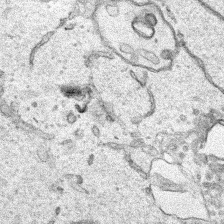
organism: Human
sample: Mitochondria in HCT116 cells